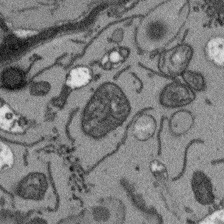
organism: Arabidopsis thaliana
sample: Root tip